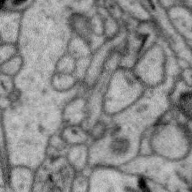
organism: Zebra finch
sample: Brain